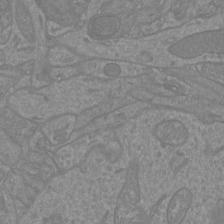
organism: Mouse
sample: Cortical neurons